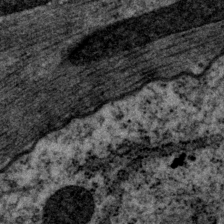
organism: P. pacificus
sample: Pharynx